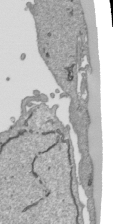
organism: Human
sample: Mitochondria in HCT116 cells